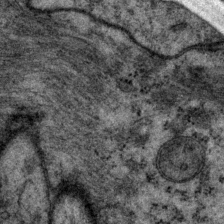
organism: P. pacificus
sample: Pharynx